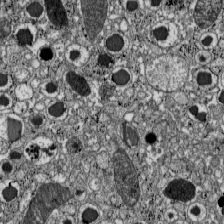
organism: C57BL Mouse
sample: Pancreatic islet